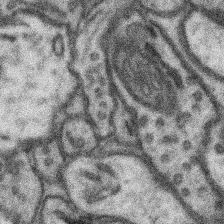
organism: Mouse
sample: Somatosensory cortex neuropil